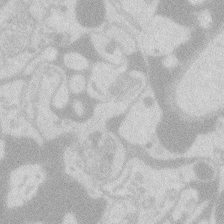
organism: Zebrafish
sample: Macrophage